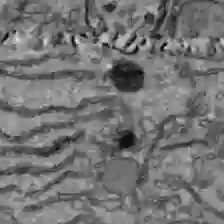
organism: C57BL Mouse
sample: Liver